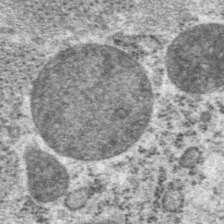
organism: P. pacificus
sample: Pharynx